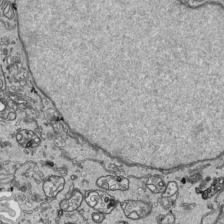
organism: Human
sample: Mitochondria in HCT116 cells